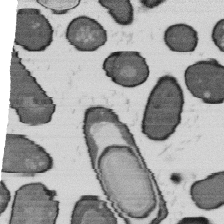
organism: B. subtilis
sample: Bacterial spore